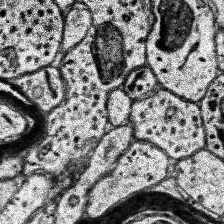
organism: Human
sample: Temporal Lobe